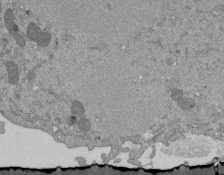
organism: Mouse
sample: ED-1 cell nuclei; centrioles